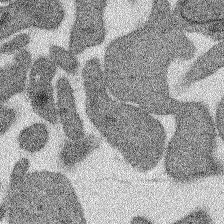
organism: Human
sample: HeLa cells